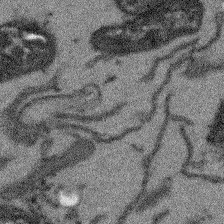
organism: Arabidopsis thaliana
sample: Root tip